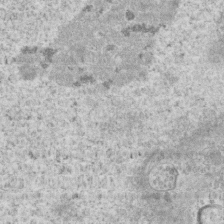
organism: Mouse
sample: Centriole in ependymal cells